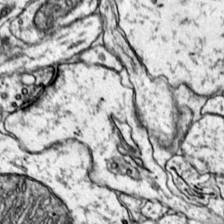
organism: Mouse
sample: Primary visual cortex